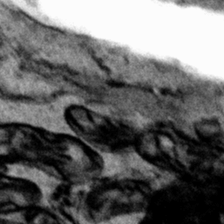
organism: Human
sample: Mitochondria in HCT116 cells